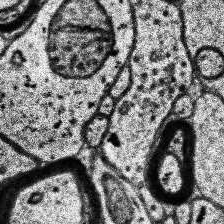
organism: Human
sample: Temporal Lobe